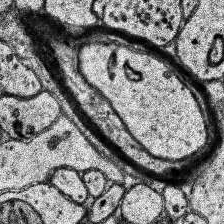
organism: Human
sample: Temporal Lobe